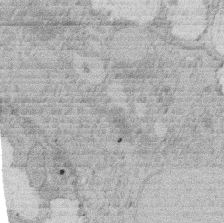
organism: Rat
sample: Salivary granule